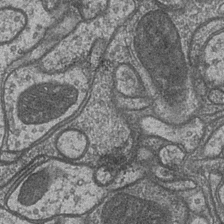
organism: Drosophila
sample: Optic medulla